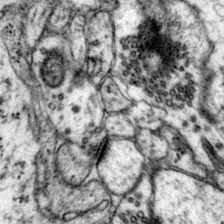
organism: Mouse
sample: Primary visual cortex